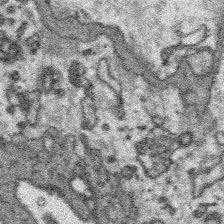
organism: Platynereis dumerilii